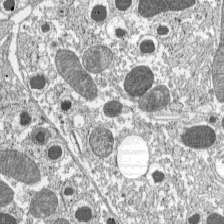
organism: C57BL Mouse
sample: Pancreatic islet